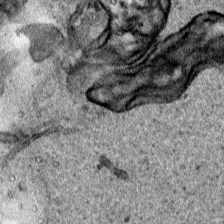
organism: Human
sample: Mitochondria in HCT116 cells